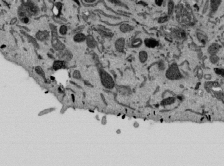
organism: Mouse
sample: ED-1 cell nuclei; centrioles